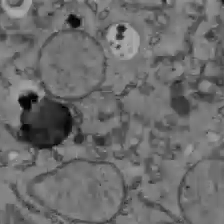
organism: C57BL Mouse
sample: Liver